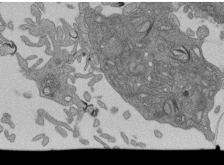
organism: Human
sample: Retinal organoid Rod and Cone cells